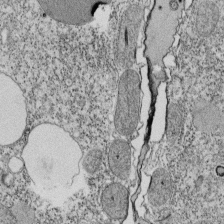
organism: Tetrahymena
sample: Cilia in tetrahymena